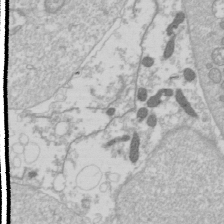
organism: Drosophila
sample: Cell division; meiosis; drosophila spermatocytes